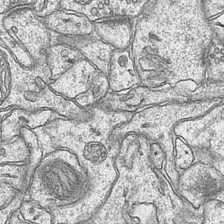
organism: Mouse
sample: CA1 Hippocampus